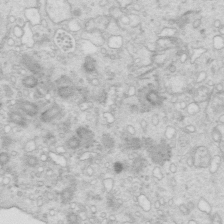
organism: Mouse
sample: Multiciliated cells